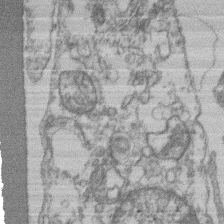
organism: Mouse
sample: T cell stromal cell synapse